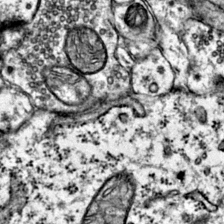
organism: Mouse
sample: Primary visual cortex